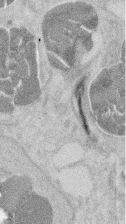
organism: Mouse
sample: T cell stromal cell synapse